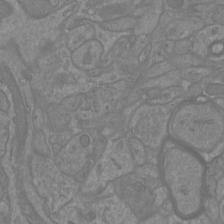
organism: Mouse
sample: Cortical neurons